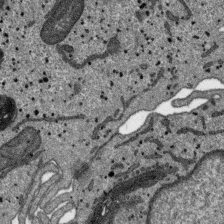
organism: Human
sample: Lung epithelial cells, uninfected (mock) control